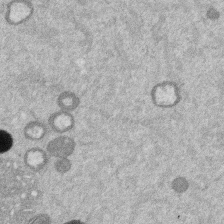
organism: Mouse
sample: Dividing mouse embryo 1 cell stage